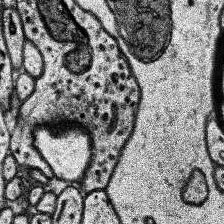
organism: Human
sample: Temporal Lobe